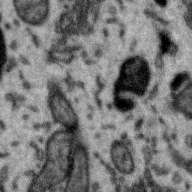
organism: Zebra finch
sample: Brain